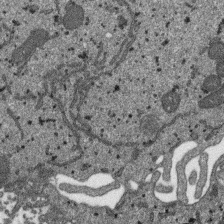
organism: Human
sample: Lung epithelial cells infected with SARS-CoV-2